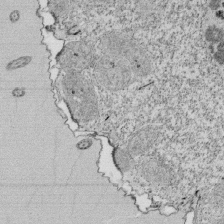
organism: Tetrahymena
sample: Cilia in tetrahymena